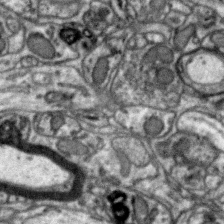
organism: Zebra finch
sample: Brain